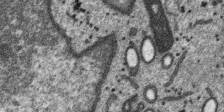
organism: Human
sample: Lung epithelial cells infected with SARS-CoV-2